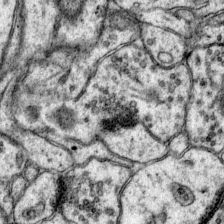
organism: Mouse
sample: Primary visual cortex